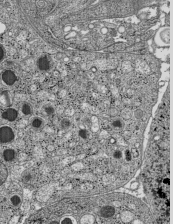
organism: C57BL Mouse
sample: Pancreatic islet